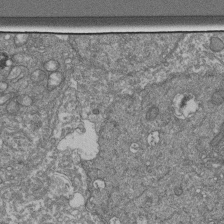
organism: Human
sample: Retinal organoid Rod and Cone cells